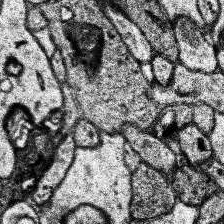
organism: Human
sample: Temporal Lobe